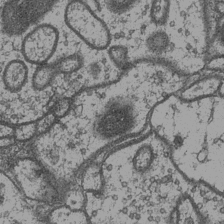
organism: Drosophila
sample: Optic medulla